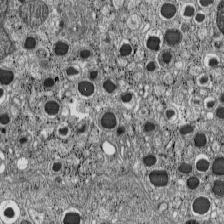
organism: C57BL Mouse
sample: Pancreatic islet